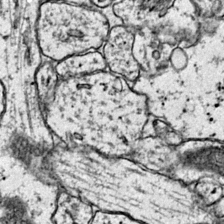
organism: Mouse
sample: Primary visual cortex